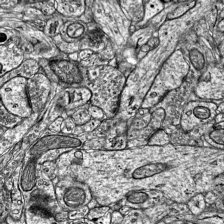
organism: Mouse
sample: Visual Cortex